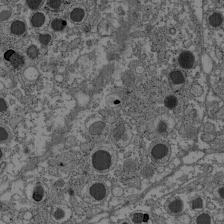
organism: C57BL Mouse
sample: Pancreatic islet